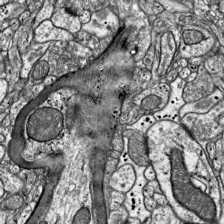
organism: Mouse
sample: Visual Cortex